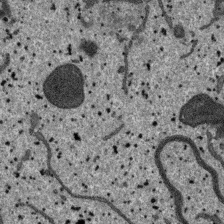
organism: Human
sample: Lung epithelial cells, uninfected (mock) control